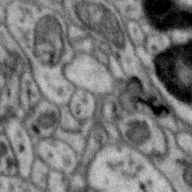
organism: Zebra finch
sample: Brain